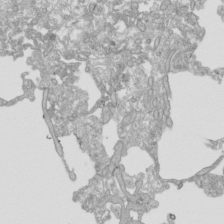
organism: Human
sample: Mitochondria in HCT116 cells